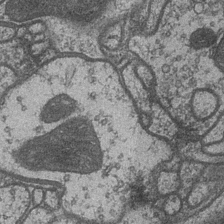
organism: Drosophila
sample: Optic medulla